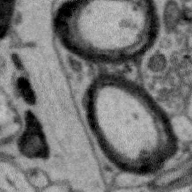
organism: Zebra finch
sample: Brain